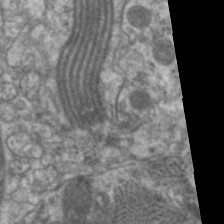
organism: C. elegans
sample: Pharynx